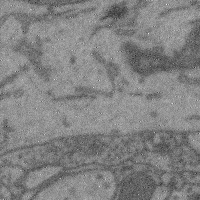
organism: Mouse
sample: Cerebral cortex